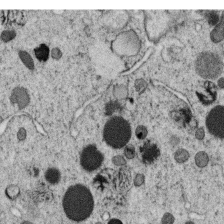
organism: C. elegans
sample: C. elegans oocyte; sperm cells